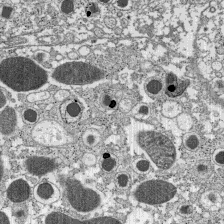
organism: C57BL Mouse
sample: Pancreatic islet